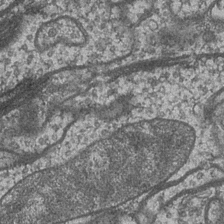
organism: Drosophila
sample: Optic medulla